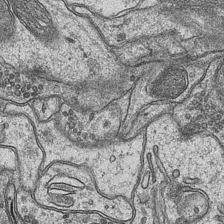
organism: Mouse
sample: CA1 Hippocampus